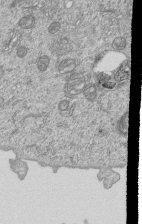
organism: Human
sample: MDA-MB-231 cells